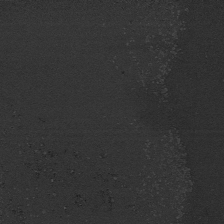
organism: Human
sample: Mitochondria in HCT116 cells